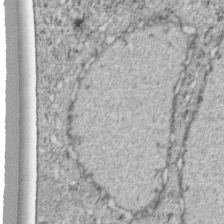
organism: C. elegans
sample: C. elegans embryo early stage